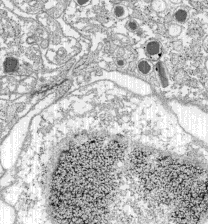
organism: C57BL Mouse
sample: Pancreatic islet